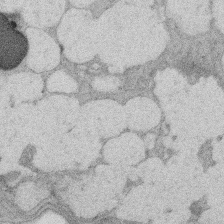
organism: Rat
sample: Salivary granule